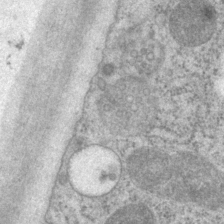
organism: P. pacificus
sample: Pharynx